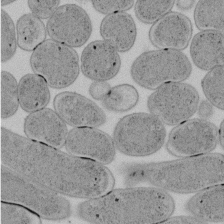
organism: E. coli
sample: Bacterial nucleoid